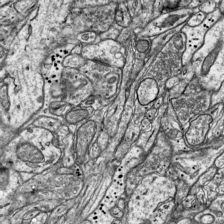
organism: Mouse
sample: Visual Cortex